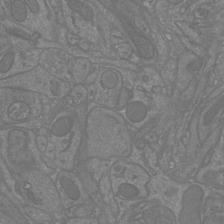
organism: Mouse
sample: Cortical neurons